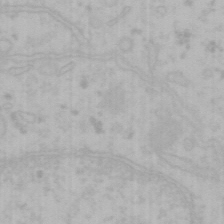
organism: Mouse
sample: Choroid plexus